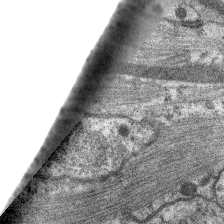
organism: C. elegans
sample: Pharynx